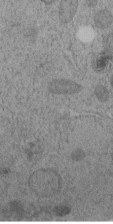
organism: C. elegans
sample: C. elegans embryo early stage